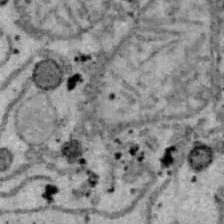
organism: Mouse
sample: Liver from an obese (ob/ob) mouse